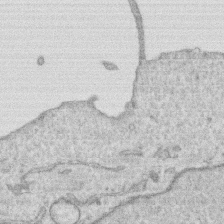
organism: Human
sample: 1205lu cells